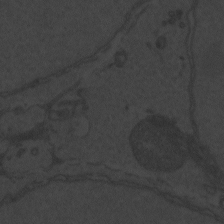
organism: Zebrafish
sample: Macrophage infected with Toxoplasma gondii